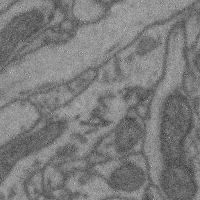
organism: Mouse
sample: Cerebral cortex